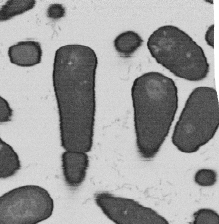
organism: B. subtilis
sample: Bacterial spore